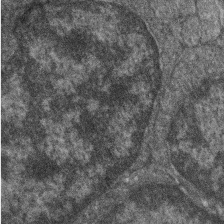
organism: Zebrafish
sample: Cilia; retinal pigment epithelium